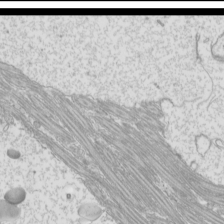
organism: Mouse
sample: Cilia; mouse epididymis